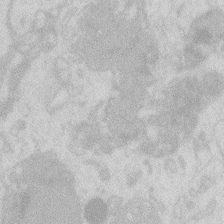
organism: Zebrafish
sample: Macrophage